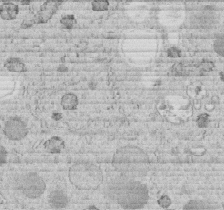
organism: C. elegans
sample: C. elegans embryo early stage